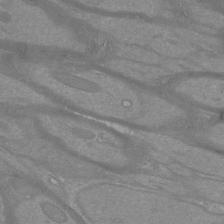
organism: Mouse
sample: Cortical neurons